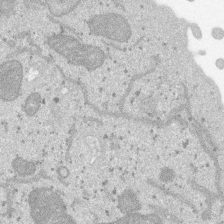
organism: Human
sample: Lung epithelial cells infected with SARS-CoV-2